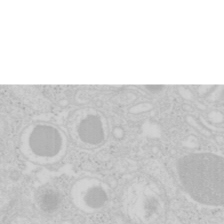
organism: Mouse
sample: Pancreas